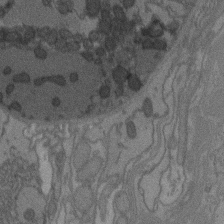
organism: C. elegans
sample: AFD neurons C. elegans